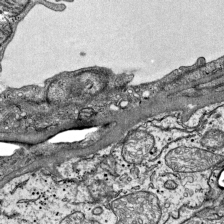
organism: Mouse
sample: Visual Cortex